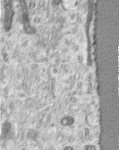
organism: Human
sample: Centriole in RPE cells